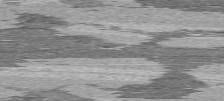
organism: C57BL Mouse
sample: Heart